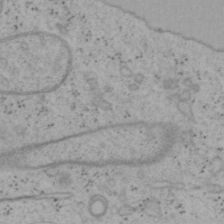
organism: Human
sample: HeLa cells